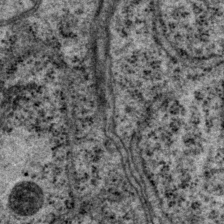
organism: P. pacificus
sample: Pharynx